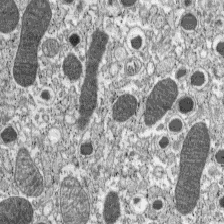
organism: C57BL Mouse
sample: Pancreatic islet